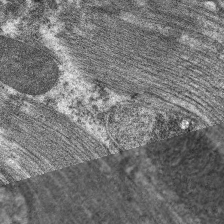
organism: C. elegans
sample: Pharynx